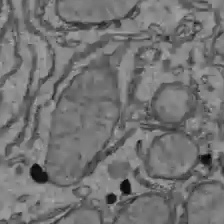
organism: C57BL Mouse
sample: Liver